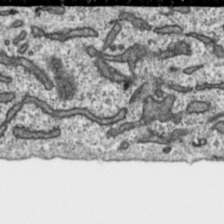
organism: Toxoplasma gondii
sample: Parasites in a vacuole inside a host cell